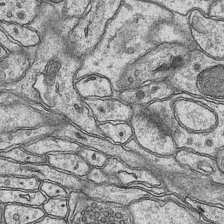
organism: Mouse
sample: CA1 Hippocampus